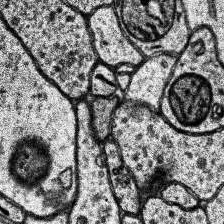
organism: Human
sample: Temporal Lobe